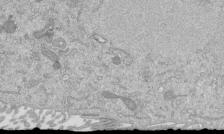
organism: Mouse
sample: ED-1 cell nuclei; centrioles